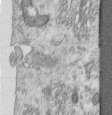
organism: Human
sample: Centriole in RPE cells